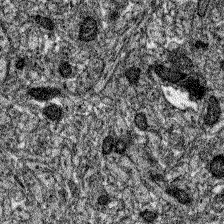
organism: Zebrafish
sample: Larval olfactory bulb